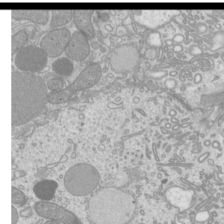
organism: Mouse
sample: Cilia; mouse epididymis